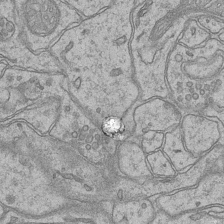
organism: Mouse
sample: CA1 Hippocampus